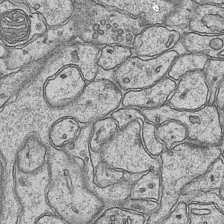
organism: Mouse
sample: CA1 Hippocampus